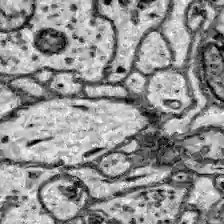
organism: Zebrafish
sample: Brain